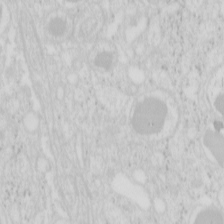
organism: Mouse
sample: Pancreas